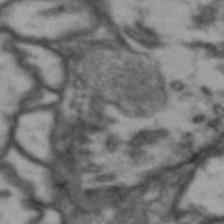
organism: Drosophila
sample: Brain